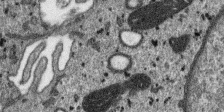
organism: Human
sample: Lung epithelial cells infected with SARS-CoV-2